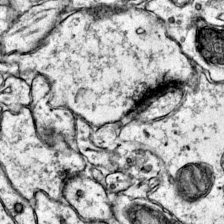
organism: Mouse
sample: Primary visual cortex